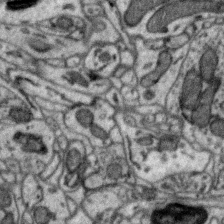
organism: Zebra finch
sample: Brain